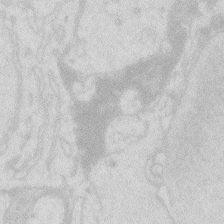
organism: Zebrafish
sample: Macrophage